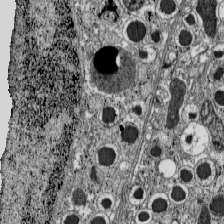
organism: C57BL Mouse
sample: Pancreatic islet